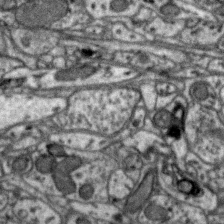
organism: Zebra finch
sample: Brain